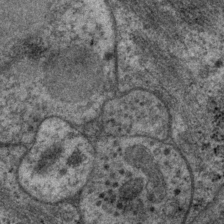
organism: P. pacificus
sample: Pharynx